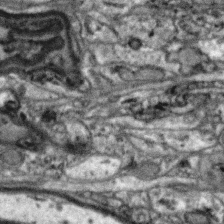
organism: Zebra finch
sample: Brain